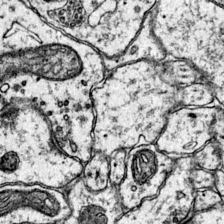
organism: Mouse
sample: Primary visual cortex